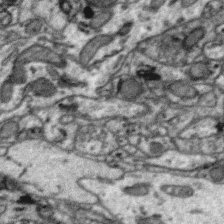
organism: Zebra finch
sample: Brain